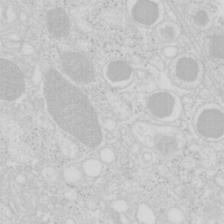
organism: Mouse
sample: Pancreas